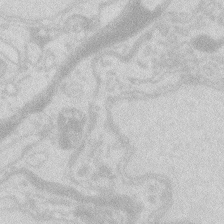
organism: Zebrafish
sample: Macrophage